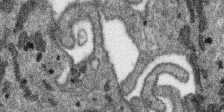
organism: Human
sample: Lung epithelial cells infected with SARS-CoV-2